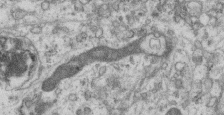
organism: Mouse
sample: Centriole in ependymal cells